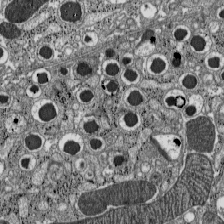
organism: C57BL Mouse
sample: Pancreatic islet